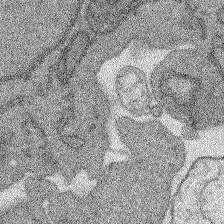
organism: Human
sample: HeLa cells